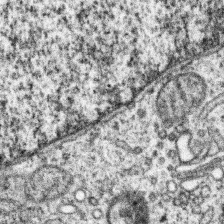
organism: Human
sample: HeLa cells